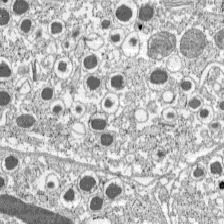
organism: C57BL Mouse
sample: Pancreatic islet